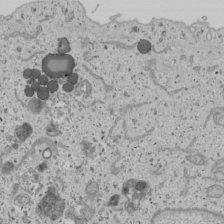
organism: Human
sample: Mitochondria in U2OS cells